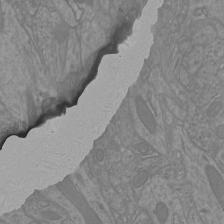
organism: Mouse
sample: Cortical neurons